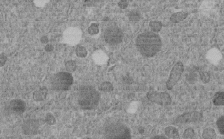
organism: C. elegans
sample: C. elegans embryo early stage